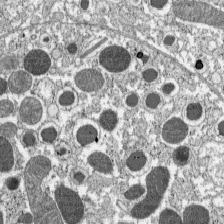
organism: C57BL Mouse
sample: Pancreatic islet